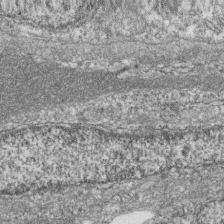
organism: Zebrafish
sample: Cilia; retinal pigment epithelium